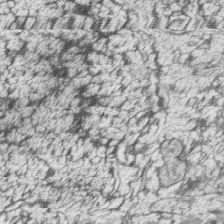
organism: Zebrafish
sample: synaptic ribbons in rod cells and cone cells